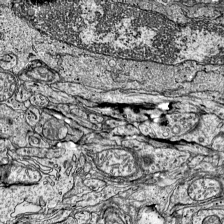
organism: Mouse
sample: Visual Cortex